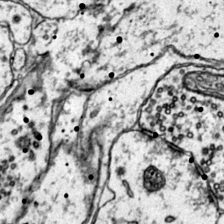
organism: Mouse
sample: Primary visual cortex